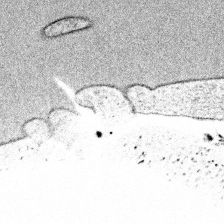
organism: Human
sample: HeLa cells